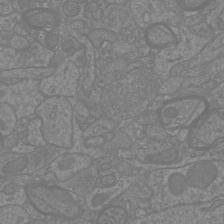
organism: Mouse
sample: Cortical neurons